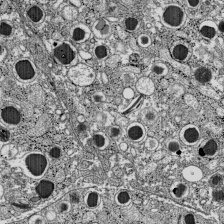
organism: C57BL Mouse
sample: Pancreatic islet